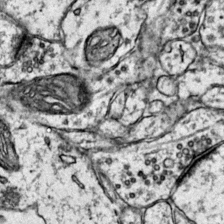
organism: Mouse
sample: Primary visual cortex